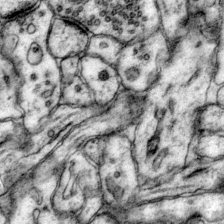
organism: Mouse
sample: Primary visual cortex